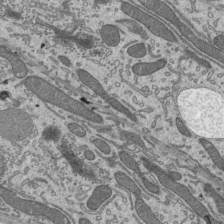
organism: Mouse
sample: Mouse epididymis efferent ductule cilia